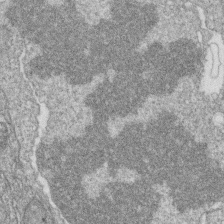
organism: Zebrafish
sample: Cilia; retinal pigment epithelium